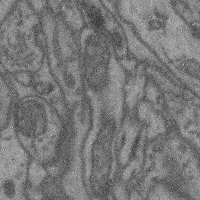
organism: Mouse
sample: Cerebral cortex